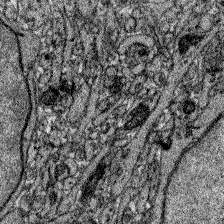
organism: Zebrafish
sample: Larval olfactory bulb